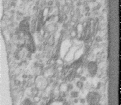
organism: Human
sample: Centriole in RPE cells